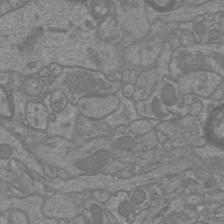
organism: Mouse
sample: Cortical neurons